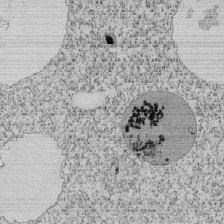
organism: Tetrahymena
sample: Cilia in tetrahymena